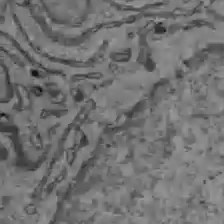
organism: C57BL Mouse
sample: Liver